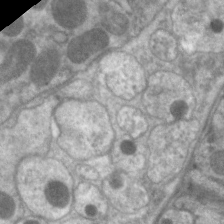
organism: C. elegans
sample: Pharynx